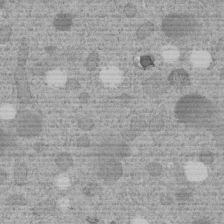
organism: C. elegans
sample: C. elegans embryo early stage